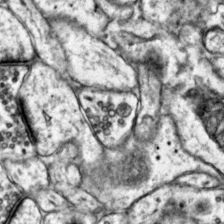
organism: Mouse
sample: Primary visual cortex